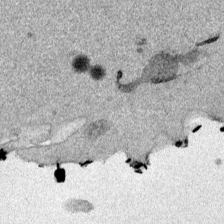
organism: Mouse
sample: Cancer cell death in ED-1 cells